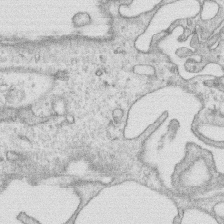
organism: Human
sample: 1205lu cells